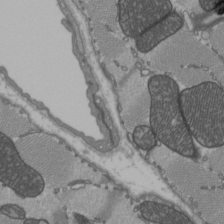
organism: C57BL Mouse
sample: Heart